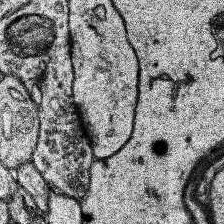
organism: Human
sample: Temporal Lobe